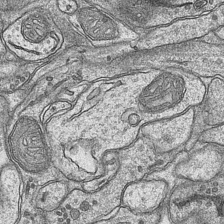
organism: Mouse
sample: CA1 Hippocampus